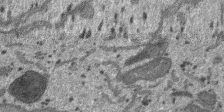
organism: Human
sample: Lung epithelial cells infected with SARS-CoV-2